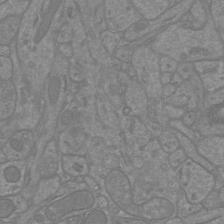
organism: Mouse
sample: Cortical neurons